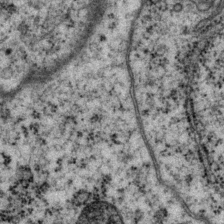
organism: P. pacificus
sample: Pharynx